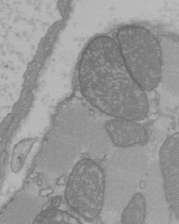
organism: C57BL Mouse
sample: Heart